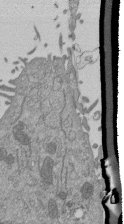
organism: Mouse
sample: ED-1 cell nuclei; centrioles